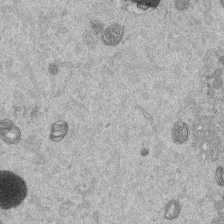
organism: Mouse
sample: Dividing mouse embryo 1 cell stage